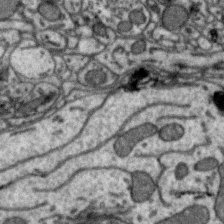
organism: Zebra finch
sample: Brain